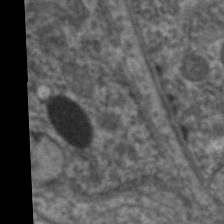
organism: C. elegans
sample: Pharynx